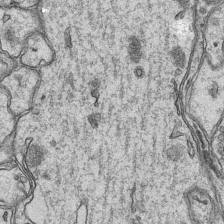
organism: Mouse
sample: CA1 Hippocampus